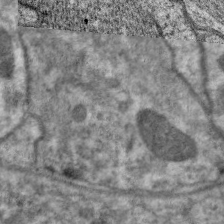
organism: C. elegans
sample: Pharynx